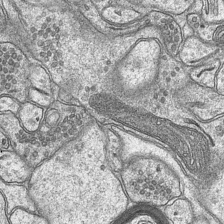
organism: Mouse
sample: CA1 Hippocampus